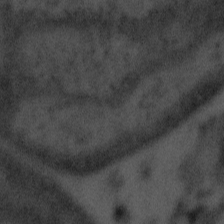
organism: Tuwongella immobilis